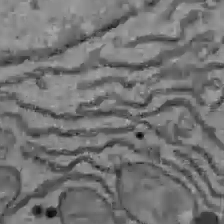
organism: C57BL Mouse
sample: Liver